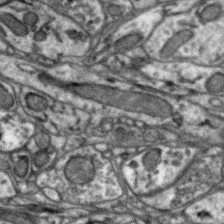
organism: Zebra finch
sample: Brain